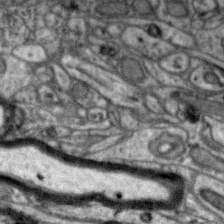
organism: Zebra finch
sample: Brain